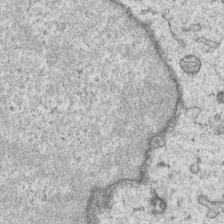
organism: Human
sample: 1205lu cells